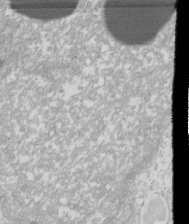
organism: Xenopus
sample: Cilia; centrioles in frog embryo cells